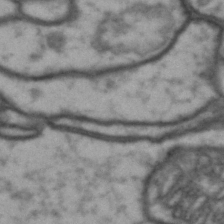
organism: Drosophila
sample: Brain